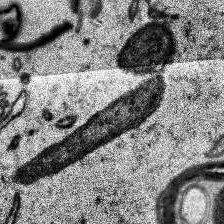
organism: Human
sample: Temporal Lobe